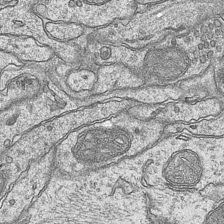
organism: Mouse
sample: CA1 Hippocampus